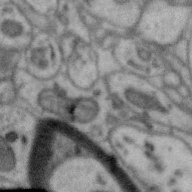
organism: Zebra finch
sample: Brain